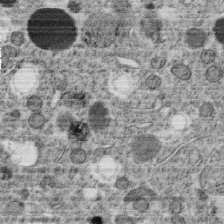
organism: C. elegans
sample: C. elegans oocyte; sperm cells